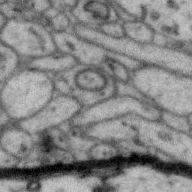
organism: Zebra finch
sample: Brain